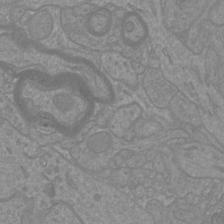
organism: Mouse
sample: Cortical neurons